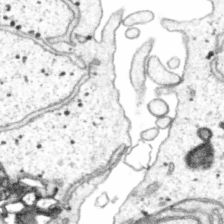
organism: Human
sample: HeLa cells